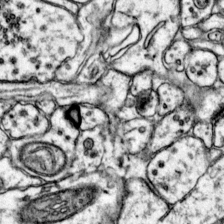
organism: Mouse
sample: Primary visual cortex